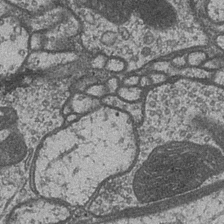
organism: Drosophila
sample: Optic medulla